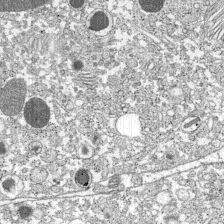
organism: C57BL Mouse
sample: Pancreatic islet